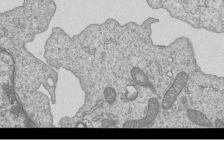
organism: Human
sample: MDA-MB-231 cells